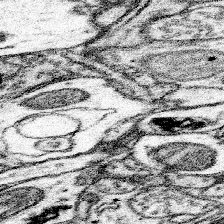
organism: Mouse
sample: Somatosensory cortex neuropil